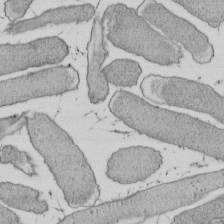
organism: E. coli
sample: Bacterial nucleoid